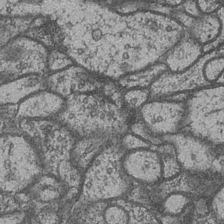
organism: Drosophila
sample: Optic medulla